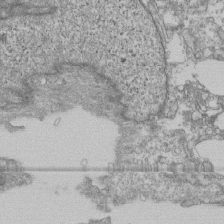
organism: Human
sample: Fibroblast cells